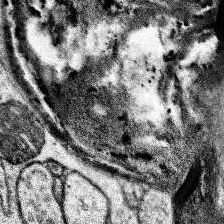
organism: Human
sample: Temporal Lobe